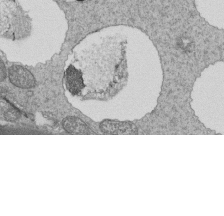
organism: Tetrahymena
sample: Cilia in tetrahymena